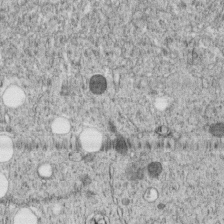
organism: C. elegans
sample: C. elegans embryo early stage